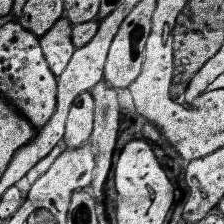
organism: Human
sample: Temporal Lobe